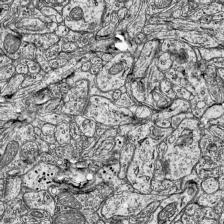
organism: Mouse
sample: Visual Cortex